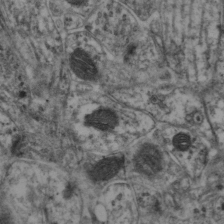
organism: Mouse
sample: Neocortex